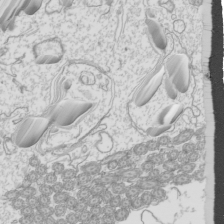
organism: Mouse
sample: Cilia; mouse epididymis